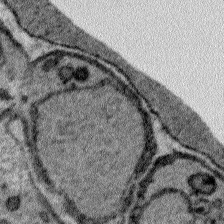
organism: Plasmodium falciparum